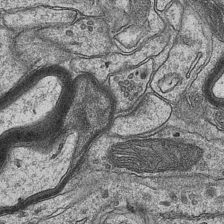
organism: Mouse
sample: CA1 Hippocampus